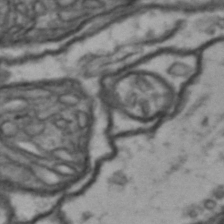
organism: Drosophila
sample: Brain